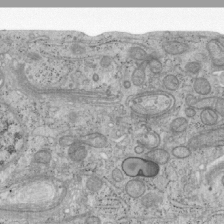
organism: Human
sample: HeLa cells